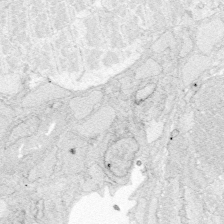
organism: Zebrafish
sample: Whole-Brain